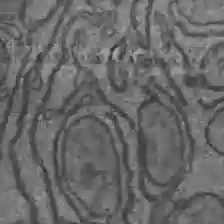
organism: C57BL Mouse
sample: Liver